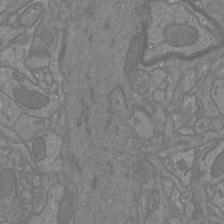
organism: Mouse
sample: Cortical neurons